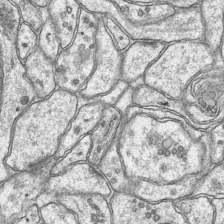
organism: Mouse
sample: CA1 Hippocampus